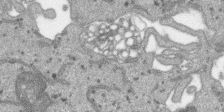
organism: Human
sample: Lung epithelial cells infected with SARS-CoV-2